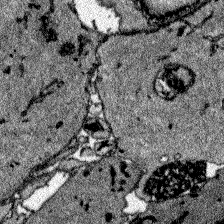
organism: Zebrafish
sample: Larval olfactory bulb